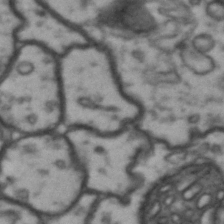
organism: Drosophila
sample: Brain